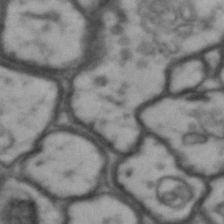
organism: Drosophila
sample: Brain